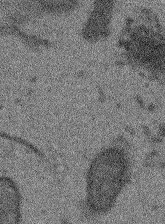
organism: Arabidopsis thaliana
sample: Root tip